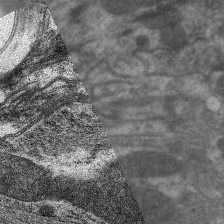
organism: C. elegans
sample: Pharynx